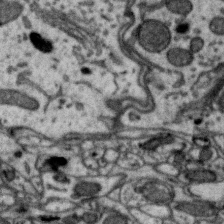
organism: Zebra finch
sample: Brain